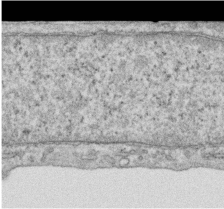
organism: Human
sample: Centriole in RPE cells